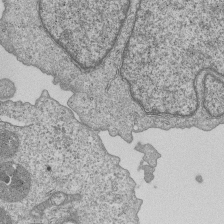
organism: Human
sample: MDA-MB-231 cells